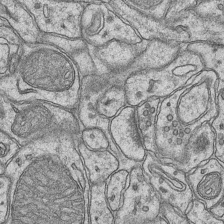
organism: Mouse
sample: CA1 Hippocampus